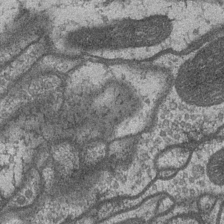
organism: Drosophila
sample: Optic medulla